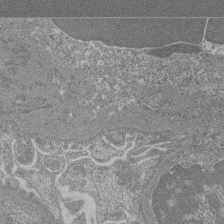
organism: Mouse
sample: Glomerulus